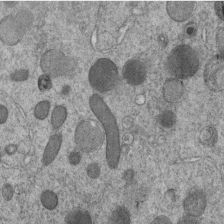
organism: C. elegans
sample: C. elegans embryo early stage